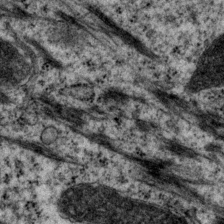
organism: P. pacificus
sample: Pharynx